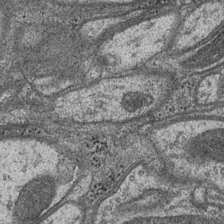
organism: Drosophila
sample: Optic medulla